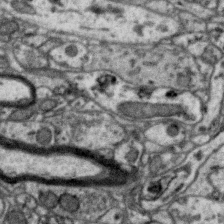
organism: Zebra finch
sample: Brain